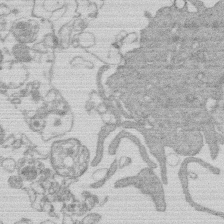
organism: Human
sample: Macrophage cells